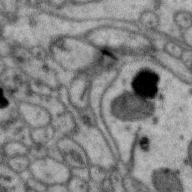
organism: Zebra finch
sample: Brain